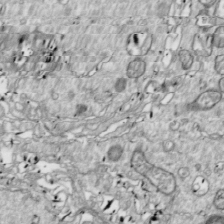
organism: Drosophila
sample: Cell division; meiosis; drosophila spermatocytes